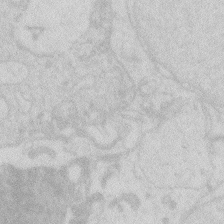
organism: Zebrafish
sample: Macrophage